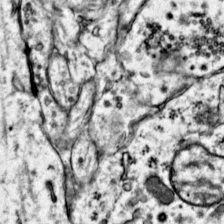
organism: Mouse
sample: Primary visual cortex